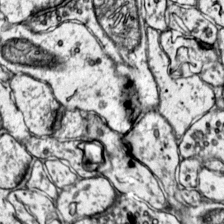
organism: Mouse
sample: Primary visual cortex